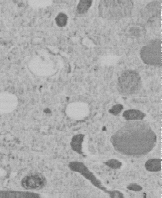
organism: C. elegans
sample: C. elegans embryo early stage